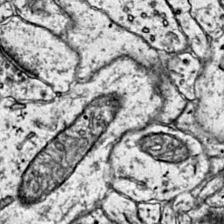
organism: Mouse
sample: Primary visual cortex